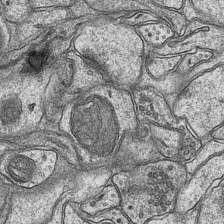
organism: Mouse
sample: CA1 Hippocampus